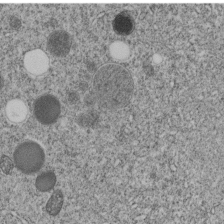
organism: C. elegans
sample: C. elegans embryo early stage